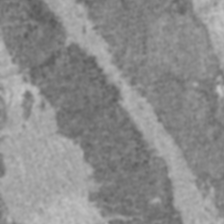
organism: C57BL Mouse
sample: Heart